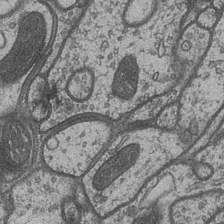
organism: Drosophila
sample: Optic medulla